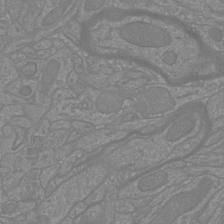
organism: Mouse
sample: Cortical neurons